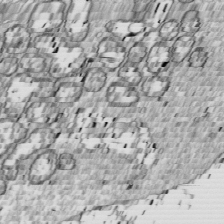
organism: Drosophila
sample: Cell division; meiosis; drosophila spermatocytes